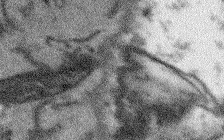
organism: Arabidopsis thaliana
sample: Root tip